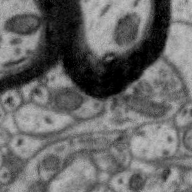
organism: Zebra finch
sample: Brain